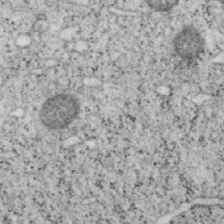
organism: Mouse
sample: OT-I killer T cells with ID8 ovarian cancer cells